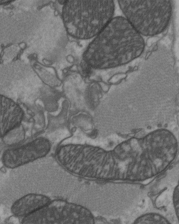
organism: C57BL Mouse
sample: Heart